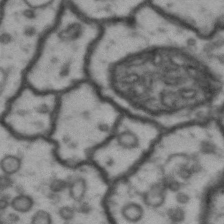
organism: Drosophila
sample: Brain